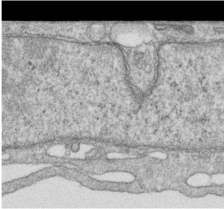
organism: Human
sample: Centriole in RPE cells